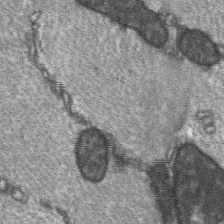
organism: C57BL Mouse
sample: Soleus